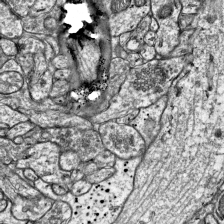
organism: Mouse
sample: Visual Cortex